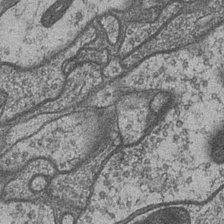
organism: Drosophila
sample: Optic medulla